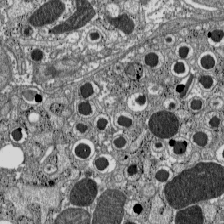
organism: C57BL Mouse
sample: Pancreatic islet